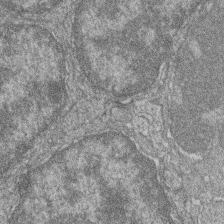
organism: Zebrafish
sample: Cilia; retinal pigment epithelium